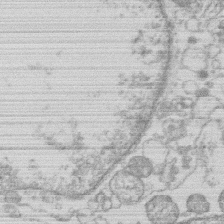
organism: Human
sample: Macrophage cells